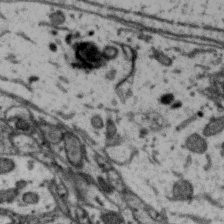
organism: Zebra finch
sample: Brain